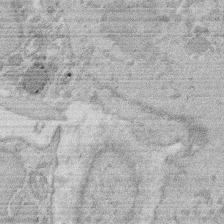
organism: Rat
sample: Salivary granule